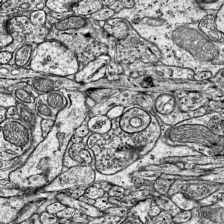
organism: Mouse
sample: Visual Cortex